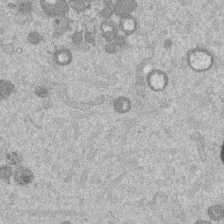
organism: Mouse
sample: Dividing mouse embryo 1 cell stage